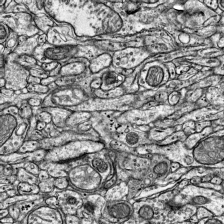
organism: Mouse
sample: Visual Cortex